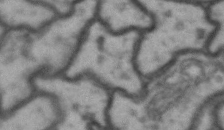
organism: Drosophila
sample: Brain